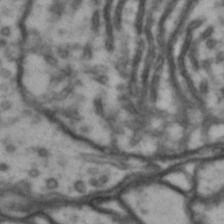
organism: Drosophila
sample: Brain